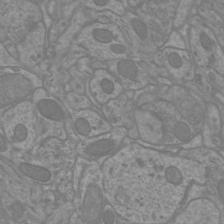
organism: Mouse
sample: Cortical neurons